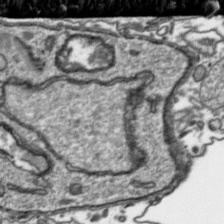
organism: Toxoplasma gondii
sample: Parasites in a vacuole inside a host cell